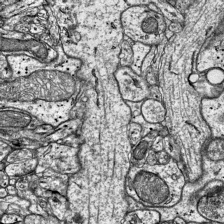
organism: Mouse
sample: Visual Cortex